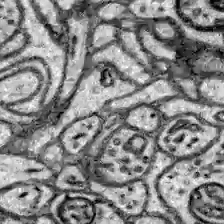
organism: Zebrafish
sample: Brain